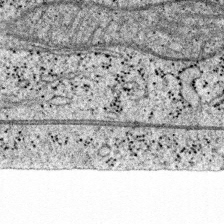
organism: Human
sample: HeLa cells